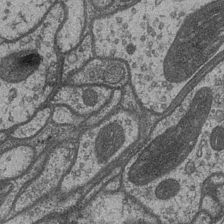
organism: Drosophila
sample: Optic medulla